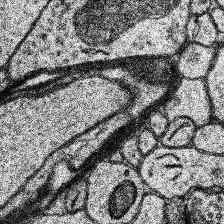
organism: Human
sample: Temporal Lobe